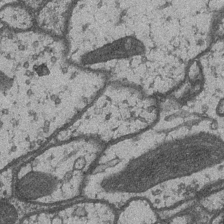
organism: Drosophila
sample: Optic medulla